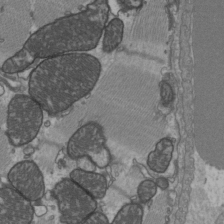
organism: C57BL Mouse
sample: Heart